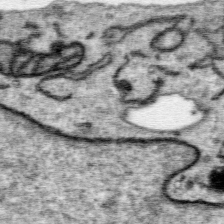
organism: Human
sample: HeLa cells